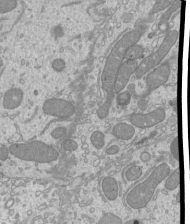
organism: Mouse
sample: Cilia; mouse epididymis